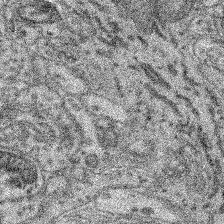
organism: Mouse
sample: Retina